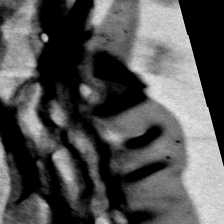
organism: C. elegans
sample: Pharynx